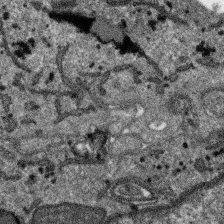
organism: Human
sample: Lung epithelial cells infected with SARS-CoV-2